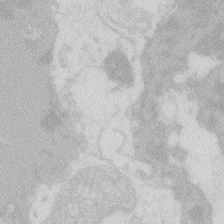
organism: Zebrafish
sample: Macrophage